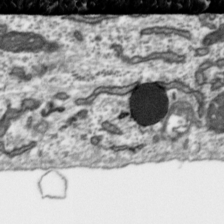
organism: Toxoplasma gondii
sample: Parasites in a vacuole inside a host cell